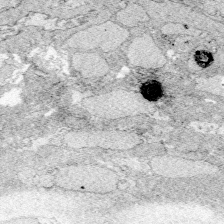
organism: Zebrafish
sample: Whole-Brain